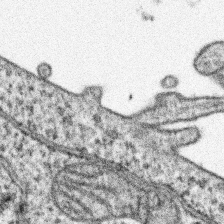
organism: Human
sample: HeLa cells